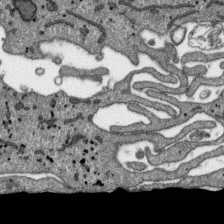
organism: Human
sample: Lung epithelial cells, uninfected (mock) control